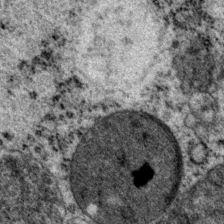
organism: P. pacificus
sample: Pharynx